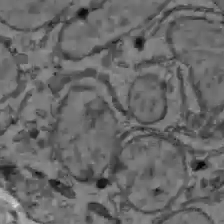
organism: C57BL Mouse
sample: Liver